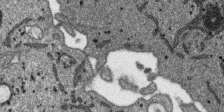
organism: Human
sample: Lung epithelial cells infected with SARS-CoV-2